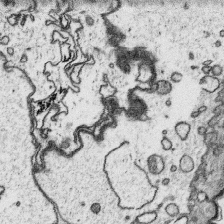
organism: Platynereis dumerilii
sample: Parapodia